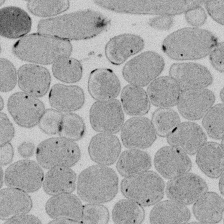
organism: E. coli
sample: Bacterial nucleoid